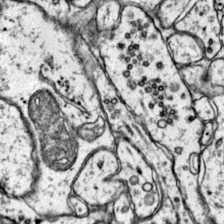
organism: Mouse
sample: Primary visual cortex